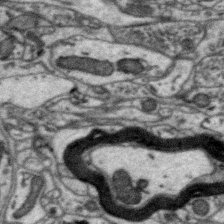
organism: Zebra finch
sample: Brain